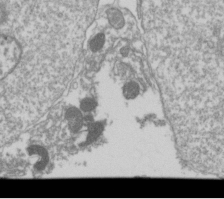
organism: Drosophila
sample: Cell division; meiosis; drosophila spermatocytes